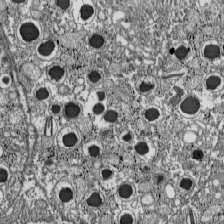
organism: C57BL Mouse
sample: Pancreatic islet